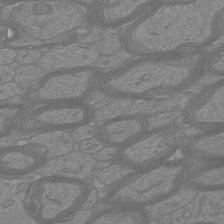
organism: Mouse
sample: Cortical neurons